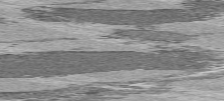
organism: C57BL Mouse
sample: Heart